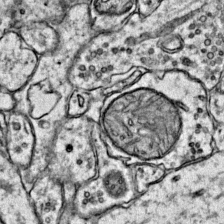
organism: Mouse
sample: Primary visual cortex